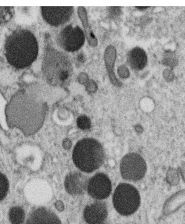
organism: C. elegans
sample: C. elegans oocyte; sperm cells